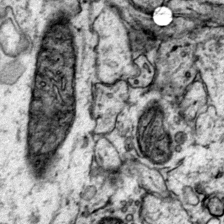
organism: Mouse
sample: Primary visual cortex